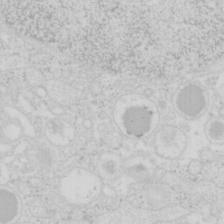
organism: Mouse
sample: Pancreas